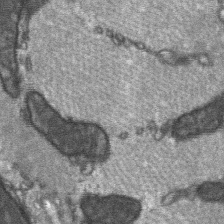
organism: C57BL Mouse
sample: Soleus